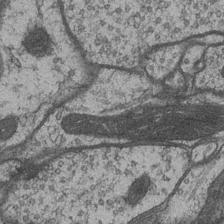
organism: Drosophila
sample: Optic medulla